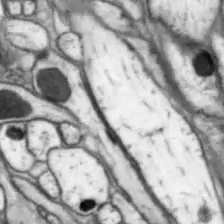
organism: Drosophila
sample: Optic lobe